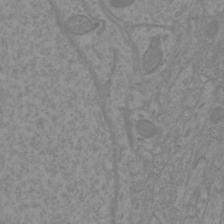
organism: Mouse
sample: Cortical neurons